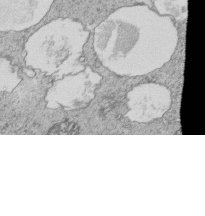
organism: Tetrahymena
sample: Cilia in tetrahymena